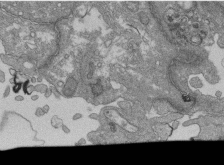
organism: Human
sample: Retinal organoid Rod and Cone cells